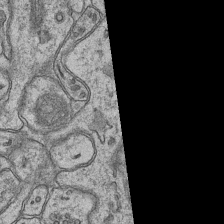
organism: Mouse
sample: CA1 Hippocampus